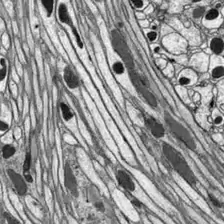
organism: Drosophila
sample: Optic lobe